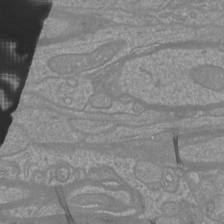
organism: Mouse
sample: Cortical neurons